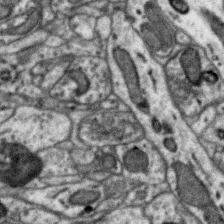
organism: Zebra finch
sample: Brain